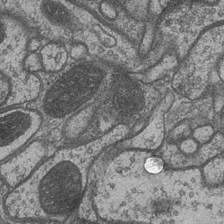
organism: Drosophila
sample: Optic medulla